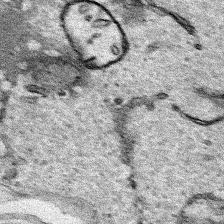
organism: Human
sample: Mitochondria in HCT116 cells